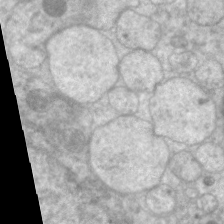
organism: C. elegans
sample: Pharynx